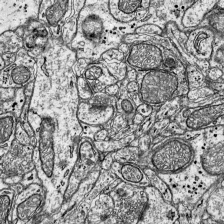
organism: Mouse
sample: Visual Cortex